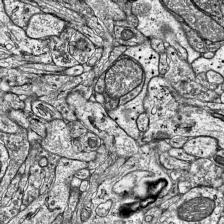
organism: Mouse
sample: Visual Cortex